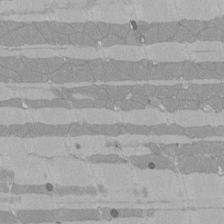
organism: Rat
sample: Left ventricle